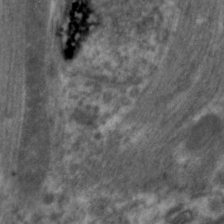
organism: C. elegans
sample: Pharynx